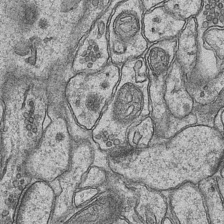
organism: Mouse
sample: CA1 Hippocampus